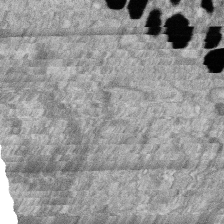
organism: Zebrafish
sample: Cilia; retinal pigment epithelium